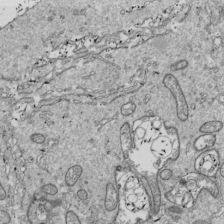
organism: Drosophila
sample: Cell division; meiosis; drosophila spermatocytes